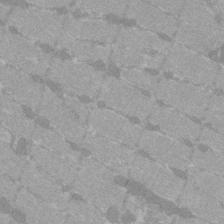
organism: C57BL Mouse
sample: Tibialis anterior muscle cell